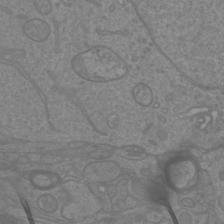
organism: Mouse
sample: Cortical neurons